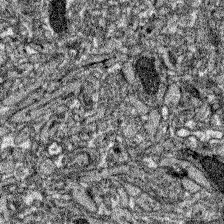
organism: Zebrafish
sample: Larval olfactory bulb